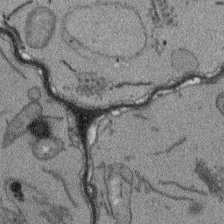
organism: Arabidopsis thaliana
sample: Root tip